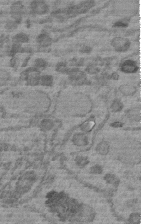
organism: C. elegans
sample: C. elegans embryo early stage